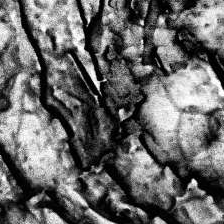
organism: Human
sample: Temporal Lobe